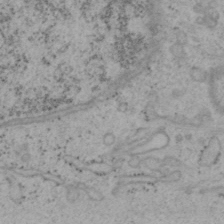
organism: Human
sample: HeLa cells